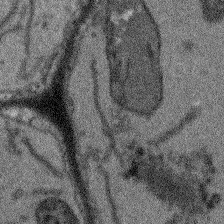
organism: Arabidopsis thaliana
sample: Root tip